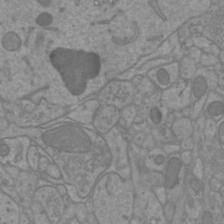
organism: Mouse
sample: Cortical neurons